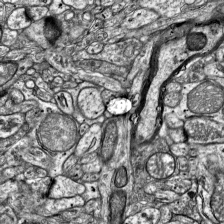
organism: Mouse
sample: Visual Cortex